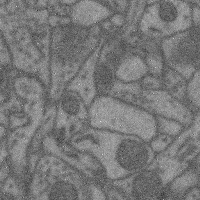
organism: Mouse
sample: Cerebral cortex